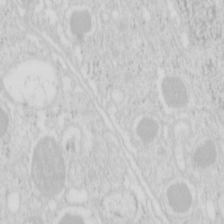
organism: Mouse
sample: Pancreas